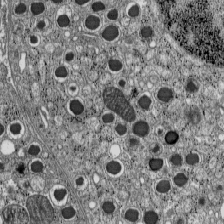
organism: C57BL Mouse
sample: Pancreatic islet